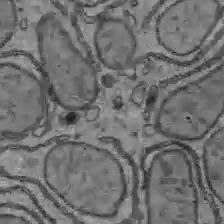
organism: C57BL Mouse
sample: Liver